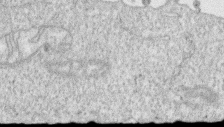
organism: Human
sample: HeLa cell HIV synapse